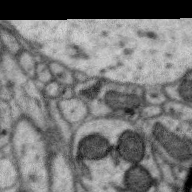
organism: Zebra finch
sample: Brain